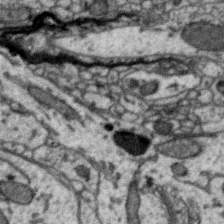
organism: Zebra finch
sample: Brain